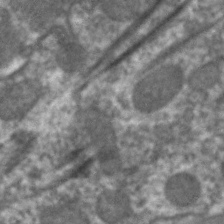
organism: C. elegans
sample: Pharynx